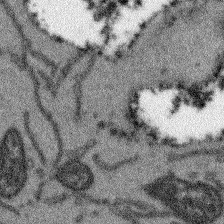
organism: Arabidopsis thaliana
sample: Root tip